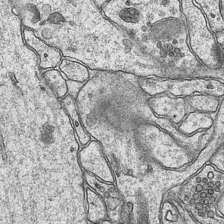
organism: Mouse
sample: CA1 Hippocampus